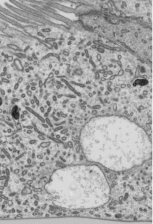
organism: Mouse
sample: Mouse epididymis efferent ductule cilia